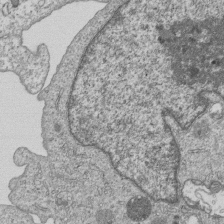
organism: Human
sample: MDA-MB-231 cells